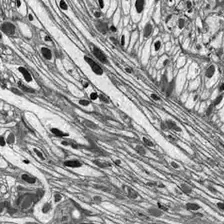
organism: Drosophila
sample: Optic lobe